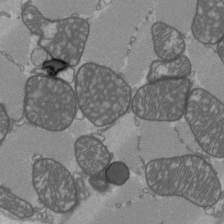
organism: C57BL Mouse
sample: Heart